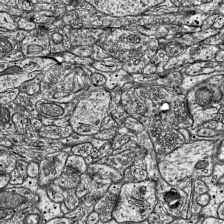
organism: Mouse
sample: Visual Cortex